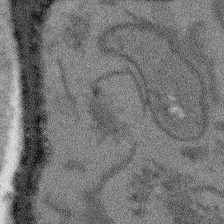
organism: Arabidopsis thaliana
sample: Root tip